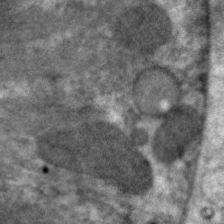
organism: C. elegans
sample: Pharynx